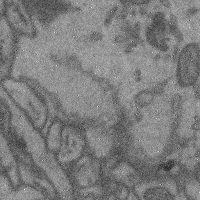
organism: Mouse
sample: Cerebral cortex